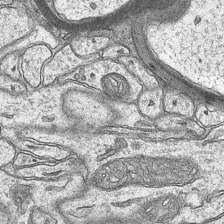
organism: Mouse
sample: CA1 Hippocampus